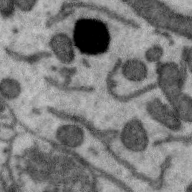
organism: Zebra finch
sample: Brain